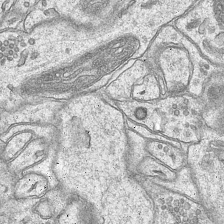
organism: Mouse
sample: CA1 Hippocampus